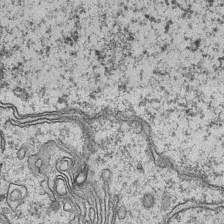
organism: Mouse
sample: CA1 Hippocampus